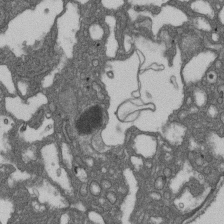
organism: Drosophila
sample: Nephrocyte